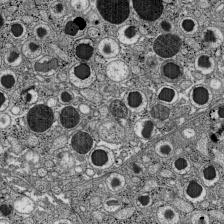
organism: C57BL Mouse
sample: Pancreatic islet